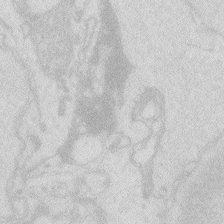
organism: Zebrafish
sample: Macrophage